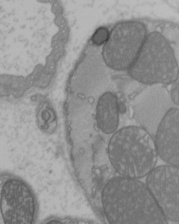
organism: C57BL Mouse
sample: Heart